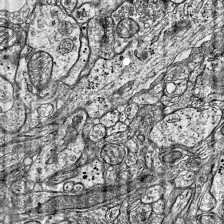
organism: Mouse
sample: Visual Cortex